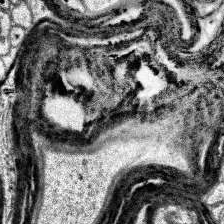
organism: Human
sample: Temporal Lobe